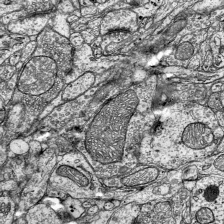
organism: Mouse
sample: Visual Cortex